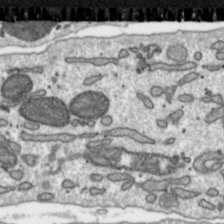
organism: Toxoplasma gondii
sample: Parasites in a vacuole inside a host cell